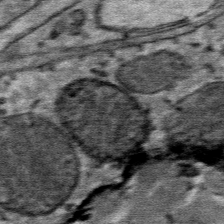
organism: Mouse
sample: Mouse Salivary gland